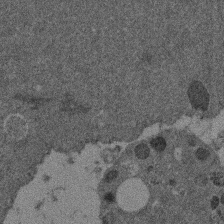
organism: Mouse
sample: Dividing mouse embryo 1 cell stage